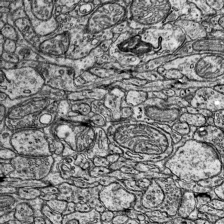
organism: Mouse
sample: Visual Cortex